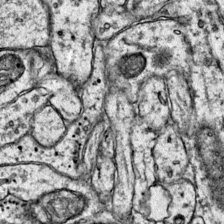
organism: Mouse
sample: Primary visual cortex